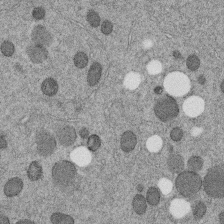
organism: C. elegans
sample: C. elegans embryo early stage